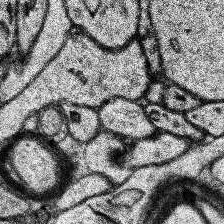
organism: Human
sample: Temporal Lobe